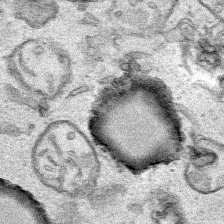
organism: Human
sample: Mitochondria in HCT116 cells